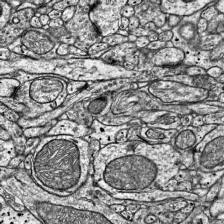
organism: Mouse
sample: Visual Cortex